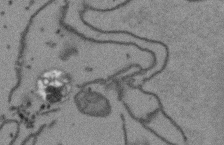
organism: Arabidopsis thaliana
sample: Root tip